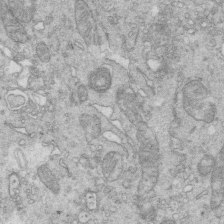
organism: Mouse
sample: Multiciliated cells